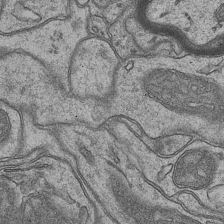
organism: Mouse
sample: CA1 Hippocampus